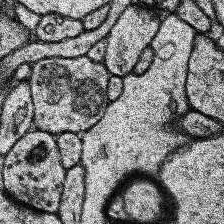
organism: Human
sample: Temporal Lobe